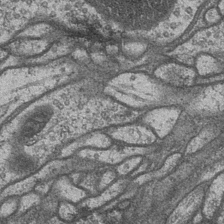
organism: Drosophila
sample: Optic medulla